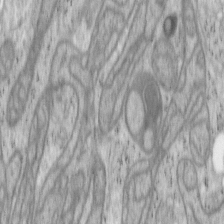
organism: Human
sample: HeLa cells